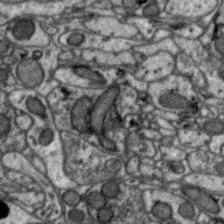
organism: Zebra finch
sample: Brain